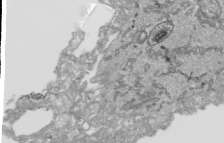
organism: Human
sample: Mitochondria in HCT116 cells